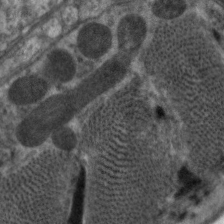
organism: C. elegans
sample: Pharynx